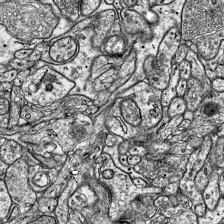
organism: Mouse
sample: Visual Cortex